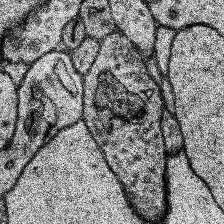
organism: Human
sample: Temporal Lobe